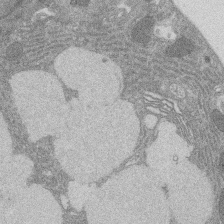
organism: Rat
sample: Salivary granule